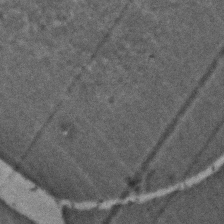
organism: Zebrafish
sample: Zebrafish embryo